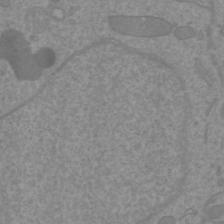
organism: Mouse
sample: Cortical neurons